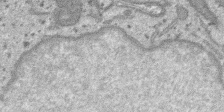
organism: Human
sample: Lung epithelial cells infected with SARS-CoV-2